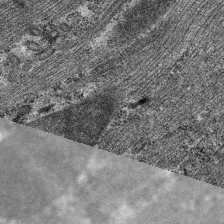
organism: C. elegans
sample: Pharynx